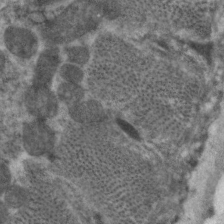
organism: C. elegans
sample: Pharynx